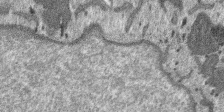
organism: Human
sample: Lung epithelial cells infected with SARS-CoV-2